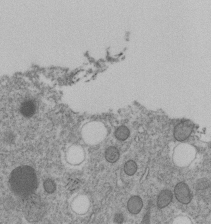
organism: C. elegans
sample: C. elegans embryo early stage